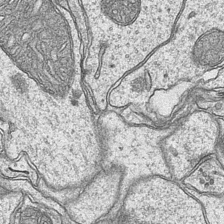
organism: Mouse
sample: CA1 Hippocampus